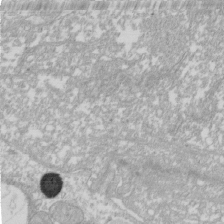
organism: Xenopus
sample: Cilia; centrioles in frog embryo cells